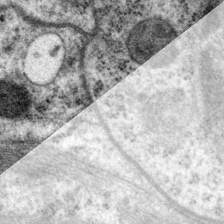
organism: P. pacificus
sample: Pharynx